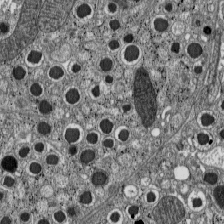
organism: C57BL Mouse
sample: Pancreatic islet